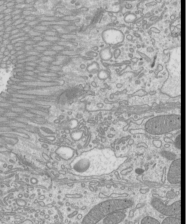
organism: Mouse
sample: Cilia; mouse epididymis